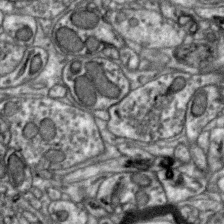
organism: Zebra finch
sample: Brain